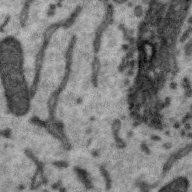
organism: Zebra finch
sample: Brain